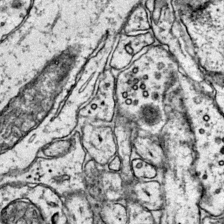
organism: Mouse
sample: Primary visual cortex